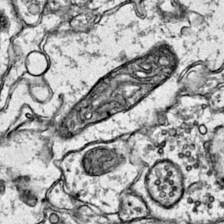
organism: Mouse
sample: Primary visual cortex